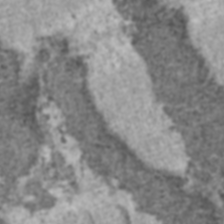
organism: C57BL Mouse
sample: Heart